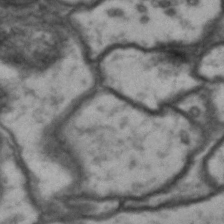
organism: Drosophila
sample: Brain